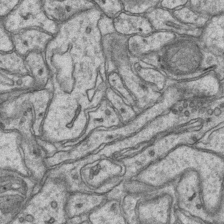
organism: Mouse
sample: CA1 Hippocampus